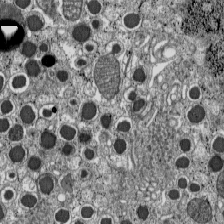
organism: C57BL Mouse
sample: Pancreatic islet